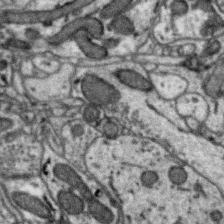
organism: Zebra finch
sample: Brain